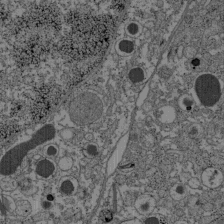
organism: C57BL Mouse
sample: Pancreatic islet